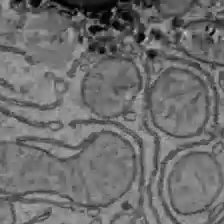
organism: C57BL Mouse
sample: Liver